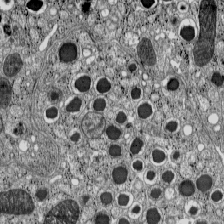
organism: C57BL Mouse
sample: Pancreatic islet